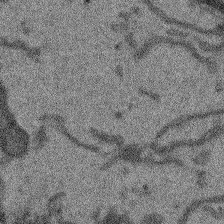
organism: Arabidopsis thaliana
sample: Root tip